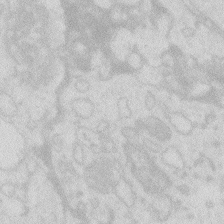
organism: Zebrafish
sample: Macrophage